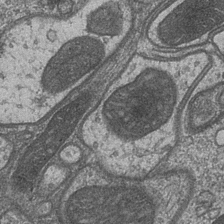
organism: Drosophila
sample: Optic medulla